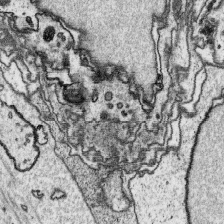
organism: Platynereis dumerilii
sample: Parapodia